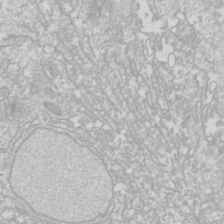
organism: Drosophila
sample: Cell division; meiosis; drosophila spermatocytes